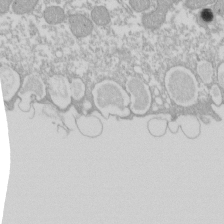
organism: Xenopus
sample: Cilia; centrioles in frog embryo cells